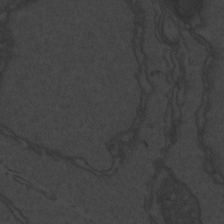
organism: Zebrafish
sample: Macrophage infected with Toxoplasma gondii